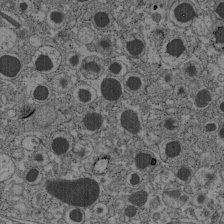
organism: C57BL Mouse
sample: Pancreatic islet